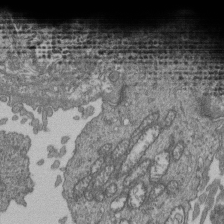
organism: Human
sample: Retinal organoid Rod and Cone cells